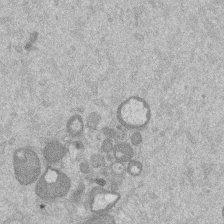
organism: Mouse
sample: Dividing mouse embryo 1 cell stage